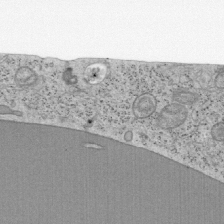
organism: Human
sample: HeLa cells